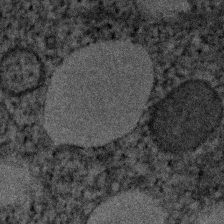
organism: Human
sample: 1205lu cells